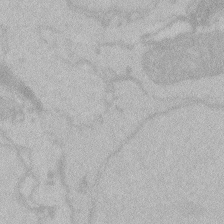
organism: Zebrafish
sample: Macrophage infected with Toxoplasma gondii